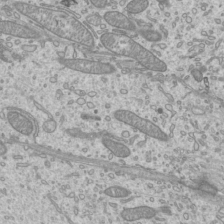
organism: Mouse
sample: Cilia; mouse epididymis